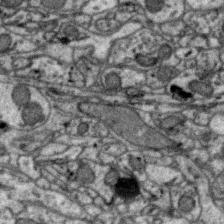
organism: Zebra finch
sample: Brain